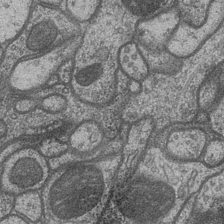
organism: Drosophila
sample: Optic medulla